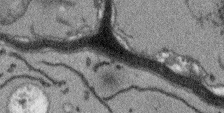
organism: Arabidopsis thaliana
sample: Root tip